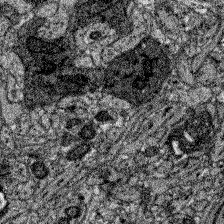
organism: Zebrafish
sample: Larval olfactory bulb